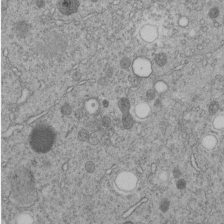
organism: C. elegans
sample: C. elegans embryo early stage